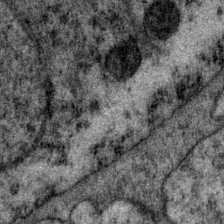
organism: P. pacificus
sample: Pharynx